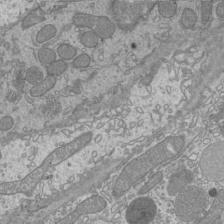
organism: Mouse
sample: Cilia; mouse epididymis